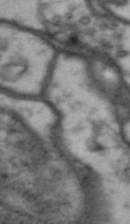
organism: Drosophila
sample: Brain